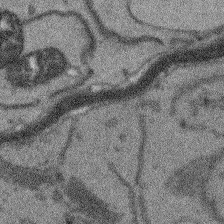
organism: Arabidopsis thaliana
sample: Root tip